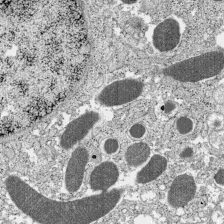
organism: C57BL Mouse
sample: Pancreatic islet